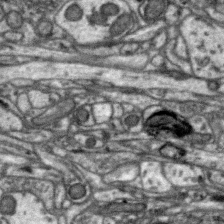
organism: Zebra finch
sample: Brain